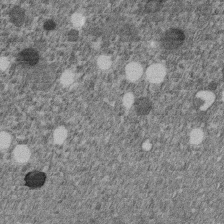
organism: C. elegans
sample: C. elegans embryo early stage